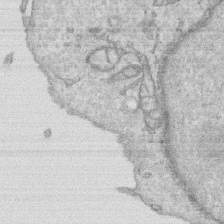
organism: Human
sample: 1205lu cells